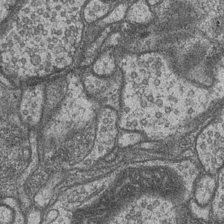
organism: Drosophila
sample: Optic medulla